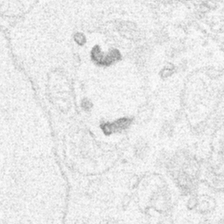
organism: Human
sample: Mitochondria in HCT116 cells